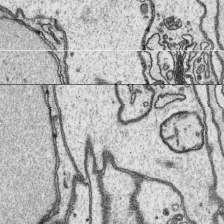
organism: Platynereis dumerilii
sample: Parapodia